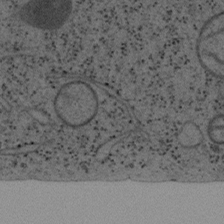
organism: Human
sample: HeLa cells